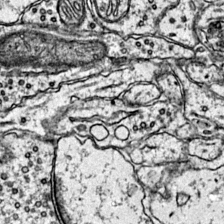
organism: Mouse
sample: Primary visual cortex